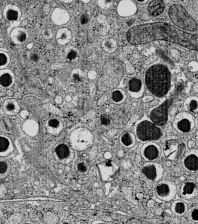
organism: C57BL Mouse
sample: Pancreatic islet